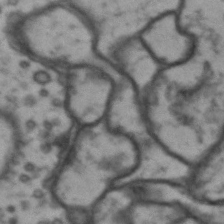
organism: Drosophila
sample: Brain